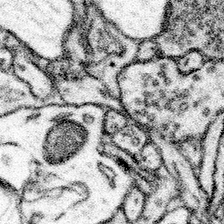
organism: Mouse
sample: Somatosensory cortex neuropil